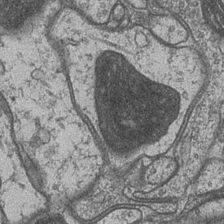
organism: Drosophila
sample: Optic medulla